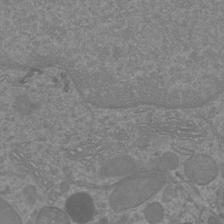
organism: Mouse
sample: Cortical neurons